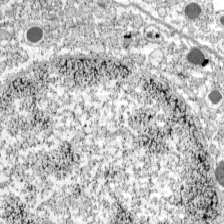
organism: C57BL Mouse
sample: Pancreatic islet